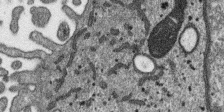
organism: Human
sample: Lung epithelial cells infected with SARS-CoV-2